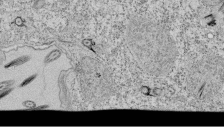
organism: Tetrahymena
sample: Cilia in tetrahymena